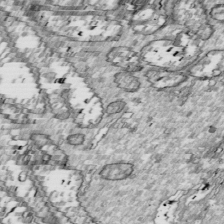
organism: Drosophila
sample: Cell division; meiosis; drosophila spermatocytes